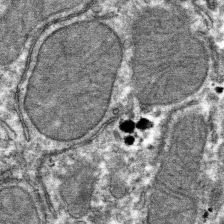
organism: Mouse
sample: Mouse hepatocytes